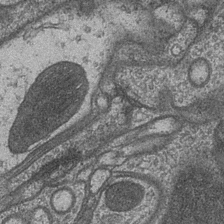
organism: Drosophila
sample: Optic medulla